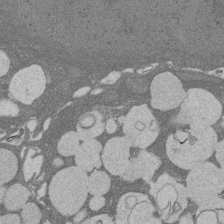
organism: Rat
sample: Salivary granule